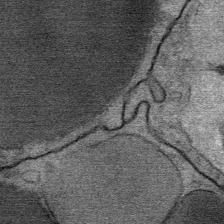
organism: Mouse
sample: Mouse Salivary gland